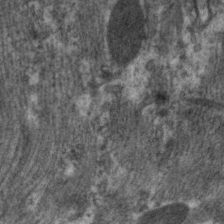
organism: C. elegans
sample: Pharynx